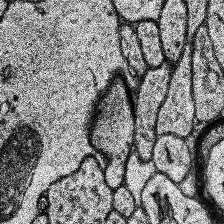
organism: Human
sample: Temporal Lobe